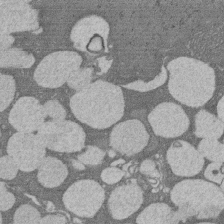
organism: Rat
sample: Salivary granule